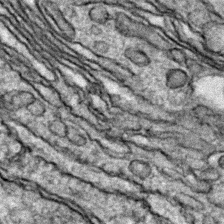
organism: Zebrafish